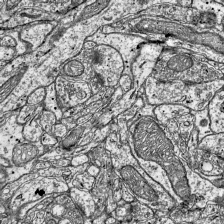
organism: Mouse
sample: Visual Cortex